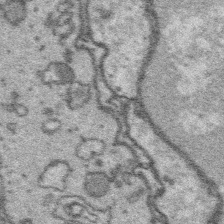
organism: Platynereis dumerilii